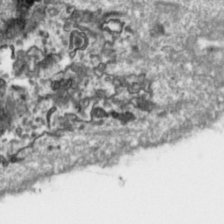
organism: Toxoplasma gondii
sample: Parasites in a vacuole inside a host cell